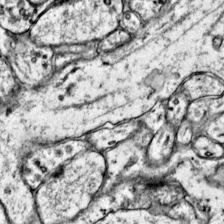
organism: Mouse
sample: Primary visual cortex